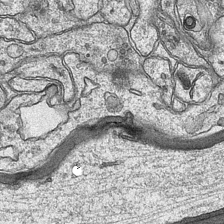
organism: Mouse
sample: CA1 Hippocampus